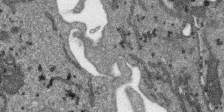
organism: Human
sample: Lung epithelial cells infected with SARS-CoV-2